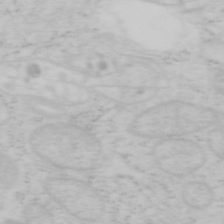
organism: Mouse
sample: OT-I killer T cells with ID8 ovarian cancer cells